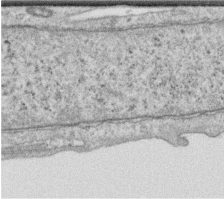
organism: Human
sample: Centriole in RPE cells